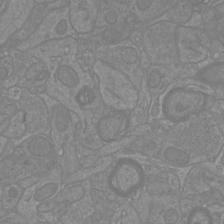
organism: Mouse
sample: Cortical neurons